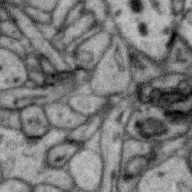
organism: Zebra finch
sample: Brain